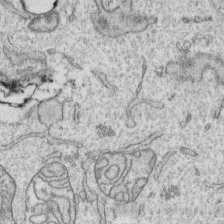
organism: Human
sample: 1205lu cells